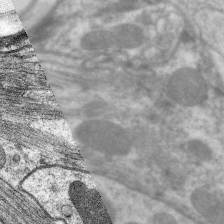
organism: C. elegans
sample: Pharynx